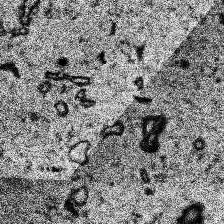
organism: Human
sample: Temporal Lobe